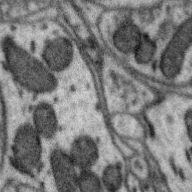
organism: Zebra finch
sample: Brain